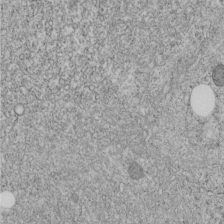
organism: C. elegans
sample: C. elegans embryo early stage